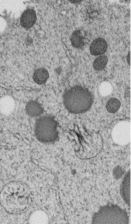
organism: C. elegans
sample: C. elegans embryo early stage